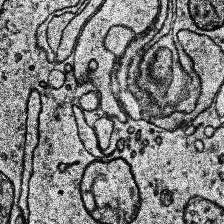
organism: Human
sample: Temporal Lobe